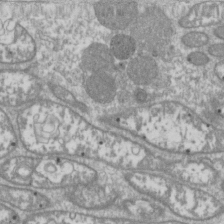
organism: Drosophila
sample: Cell division; meiosis; drosophila spermatocytes